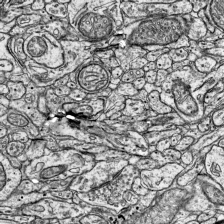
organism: Mouse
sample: Visual Cortex